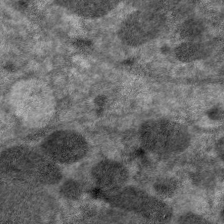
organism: C. elegans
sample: Pharynx